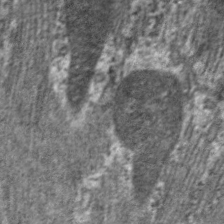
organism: C. elegans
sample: Pharynx